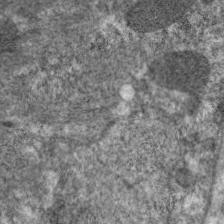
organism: C. elegans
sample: Pharynx